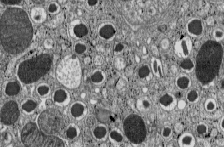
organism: C57BL Mouse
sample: Pancreatic islet